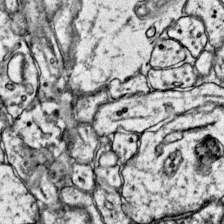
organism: Mouse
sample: Primary visual cortex